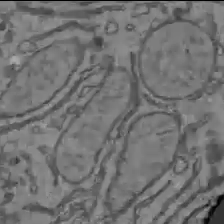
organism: C57BL Mouse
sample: Liver